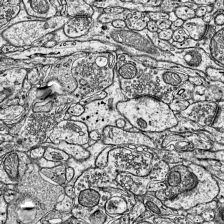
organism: Mouse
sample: Visual Cortex